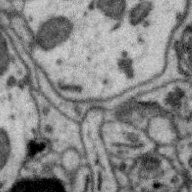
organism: Zebra finch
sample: Brain